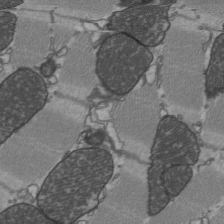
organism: C57BL Mouse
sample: Heart